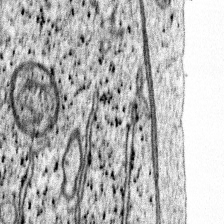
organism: Human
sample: HeLa cells